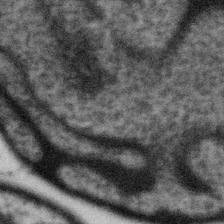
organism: Gemmata obscuriglobus